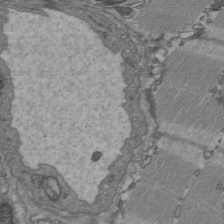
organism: C57BL Mouse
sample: Heart